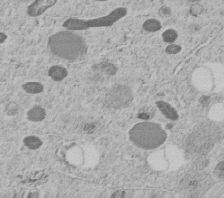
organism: C. elegans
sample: C. elegans embryo early stage